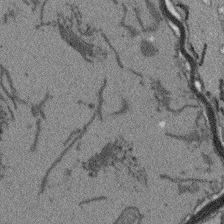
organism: Arabidopsis thaliana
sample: Root tip